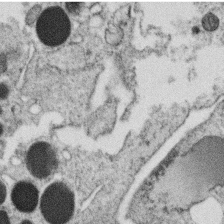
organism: C. elegans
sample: C. elegans oocyte; sperm cells